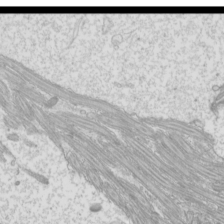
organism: Mouse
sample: Cilia; mouse epididymis